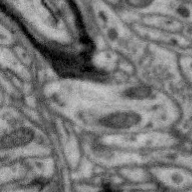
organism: Zebra finch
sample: Brain